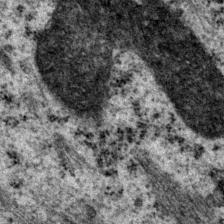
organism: P. pacificus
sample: Pharynx